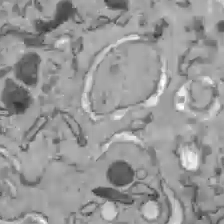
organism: C57BL Mouse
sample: Liver